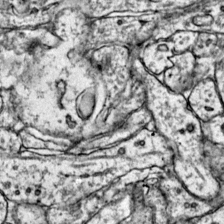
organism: Mouse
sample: Primary visual cortex